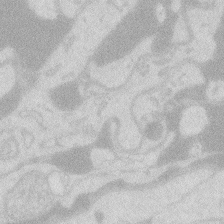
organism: Zebrafish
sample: Macrophage